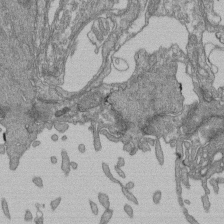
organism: Human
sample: Retinal organoid Rod and Cone cells